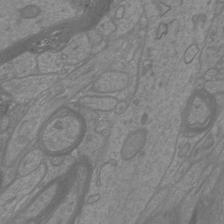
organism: Mouse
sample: Cortical neurons